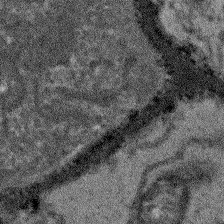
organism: Arabidopsis thaliana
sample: Root tip